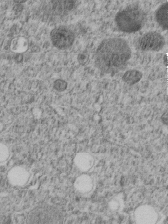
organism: C. elegans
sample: C. elegans embryo early stage